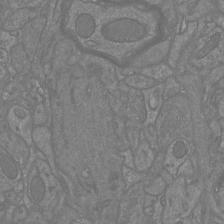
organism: Mouse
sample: Cortical neurons